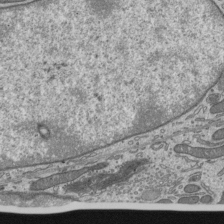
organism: Mouse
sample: Mouse epididymis efferent ductule cilia